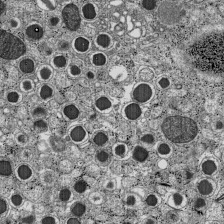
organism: C57BL Mouse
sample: Pancreatic islet